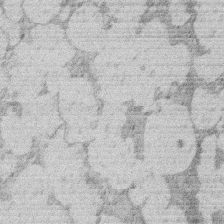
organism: Rat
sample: Salivary granule